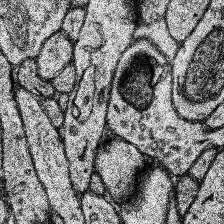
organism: Human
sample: Temporal Lobe